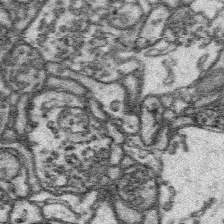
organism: Platynereis dumerilii